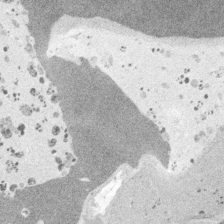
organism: Embia sp.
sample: Silk gland